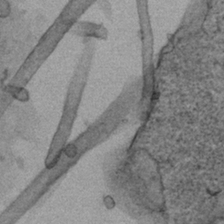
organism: Human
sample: Mitochondria in HCT116 cells